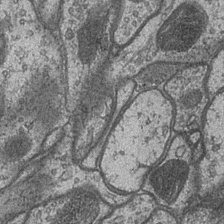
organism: Drosophila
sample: Optic medulla